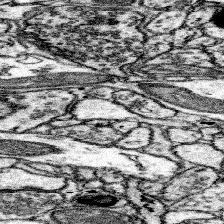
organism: Mouse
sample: Somatosensory cortex neuropil